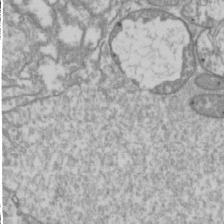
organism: Drosophila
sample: Cell division; meiosis; drosophila spermatocytes